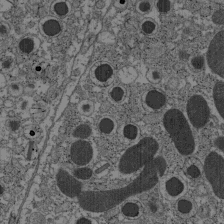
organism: C57BL Mouse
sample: Pancreatic islet